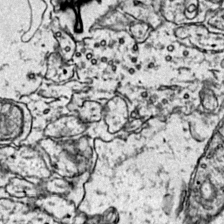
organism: Mouse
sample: Primary visual cortex